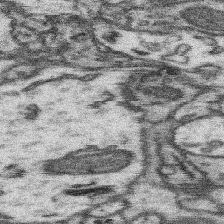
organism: Mouse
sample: Somatosensory cortex neuropil